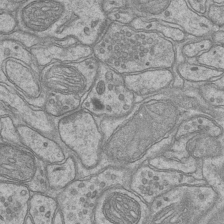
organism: Mouse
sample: CA1 Hippocampus